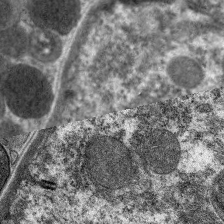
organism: C. elegans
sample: Pharynx